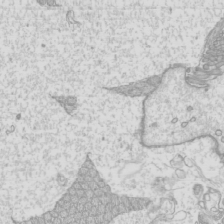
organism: Mouse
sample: Cilia; mouse epididymis